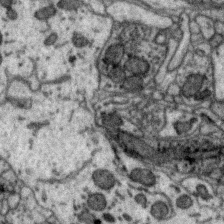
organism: Zebra finch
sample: Brain